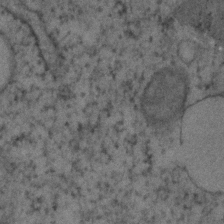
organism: Human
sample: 1205lu cells